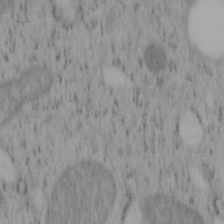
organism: Mouse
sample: OT-I killer T cells with ID8 ovarian cancer cells